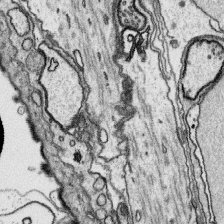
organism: Platynereis dumerilii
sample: Parapodia